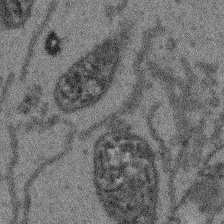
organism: Arabidopsis thaliana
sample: Root tip